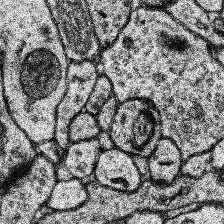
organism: Human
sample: Temporal Lobe